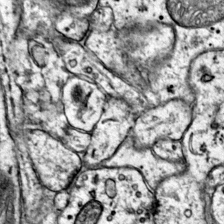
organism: Mouse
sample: Primary visual cortex